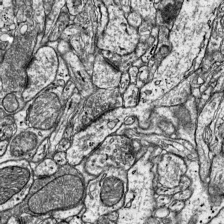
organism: Mouse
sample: Visual Cortex